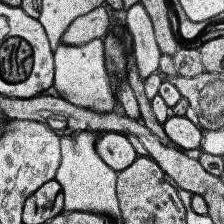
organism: Human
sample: Temporal Lobe